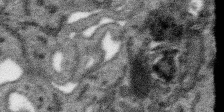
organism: Human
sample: Lung epithelial cells infected with SARS-CoV-2